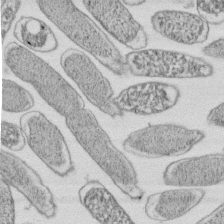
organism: E. coli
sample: Bacterial nucleoid